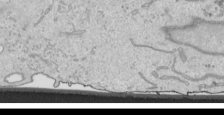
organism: Human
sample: Mitochondria in HCT116 cells